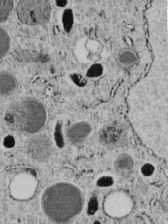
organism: C. elegans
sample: C. elegans embryo early stage